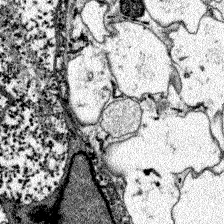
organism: Zebrafish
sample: Larval olfactory bulb